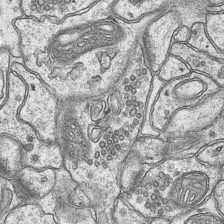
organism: Mouse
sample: CA1 Hippocampus